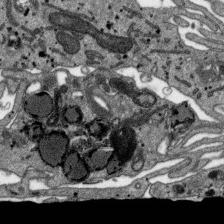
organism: Human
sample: Lung epithelial cells, uninfected (mock) control